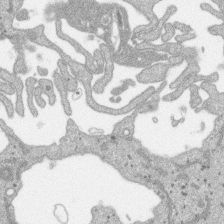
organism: Human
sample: Lung epithelial cells infected with SARS-CoV-2